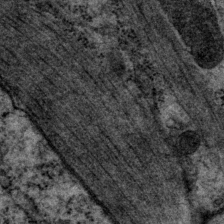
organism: P. pacificus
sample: Pharynx